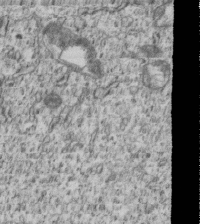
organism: Human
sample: MDA-MB-231 cells